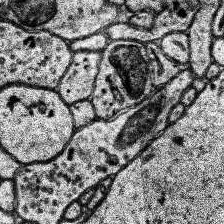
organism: Human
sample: Temporal Lobe